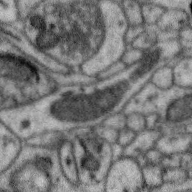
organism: Zebra finch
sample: Brain